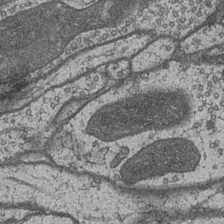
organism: Drosophila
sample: Optic medulla